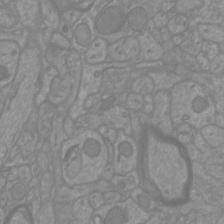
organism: Mouse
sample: Cortical neurons